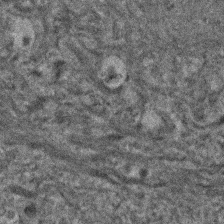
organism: Human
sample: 1205lu cells